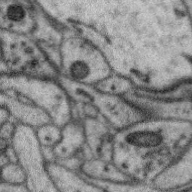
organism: Zebra finch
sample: Brain